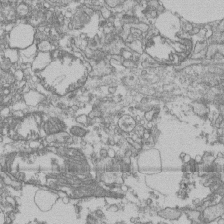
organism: Human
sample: Fibroblast cells